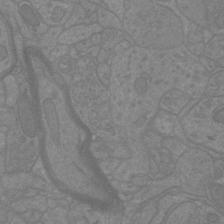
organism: Mouse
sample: Cortical neurons